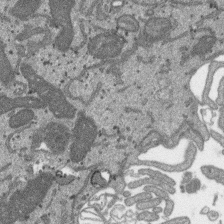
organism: Human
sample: Lung epithelial cells infected with SARS-CoV-2